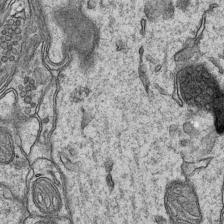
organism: Mouse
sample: CA1 Hippocampus